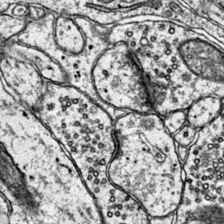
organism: Mouse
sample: Primary visual cortex